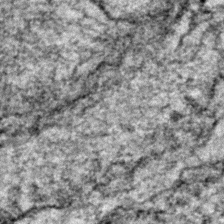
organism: Zebrafish